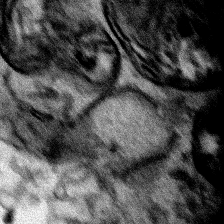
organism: Human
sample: Mitochondria in HCT116 cells